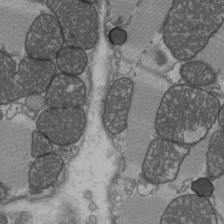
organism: C57BL Mouse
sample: Heart